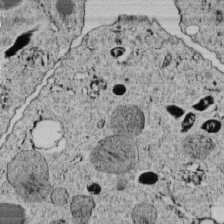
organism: C. elegans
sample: C. elegans embryo early stage